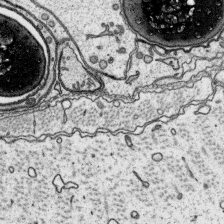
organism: Platynereis dumerilii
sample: Parapodia